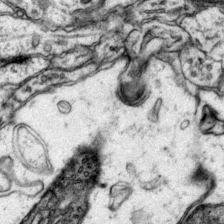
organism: Mouse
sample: Primary visual cortex